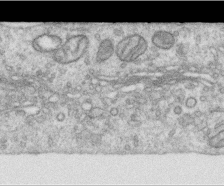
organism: Human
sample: Centriole in RPE cells